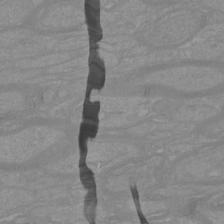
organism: Mouse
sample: Cortical neurons